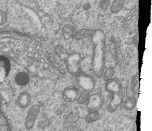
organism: Human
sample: MDA-MB-231 cells